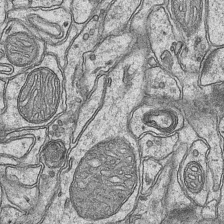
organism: Mouse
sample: CA1 Hippocampus